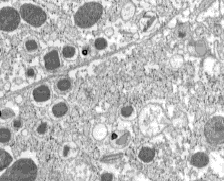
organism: C57BL Mouse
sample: Pancreatic islet